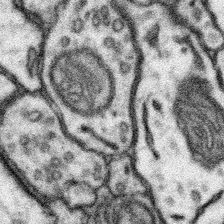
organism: Mouse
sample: Somatosensory cortex neuropil